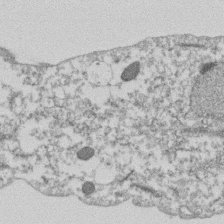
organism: Dictyostelium discoideum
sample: Dictyostelium multivesicular bodies